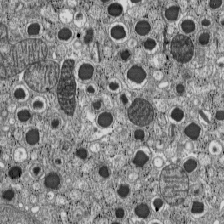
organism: C57BL Mouse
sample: Pancreatic islet